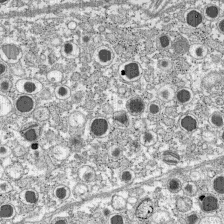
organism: C57BL Mouse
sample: Pancreatic islet